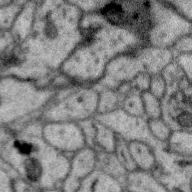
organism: Zebra finch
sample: Brain